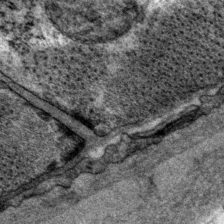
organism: P. pacificus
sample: Pharynx